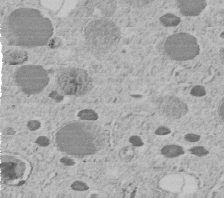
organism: C. elegans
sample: C. elegans embryo early stage